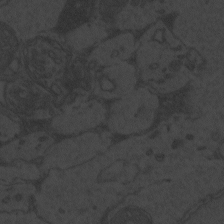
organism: Zebrafish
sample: Macrophage infected with Toxoplasma gondii